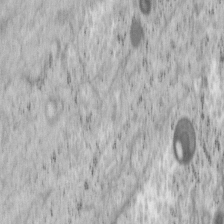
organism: Human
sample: HeLa cells